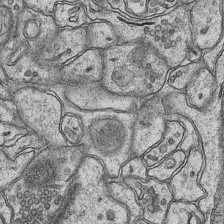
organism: Mouse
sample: CA1 Hippocampus